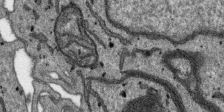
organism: Human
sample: Lung epithelial cells, uninfected (mock) control